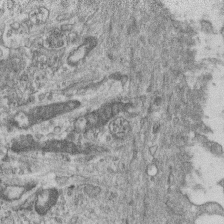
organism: Mouse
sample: Centriole in ependymal cells